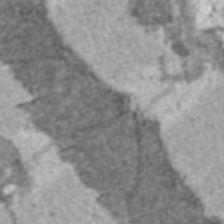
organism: C57BL Mouse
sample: Heart